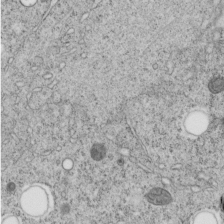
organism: C. elegans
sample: C. elegans embryo early stage